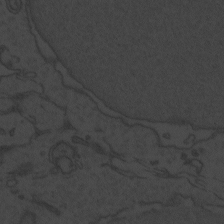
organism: Zebrafish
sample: Macrophage infected with Toxoplasma gondii